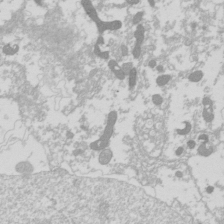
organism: Drosophila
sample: Cell division; meiosis; drosophila spermatocytes